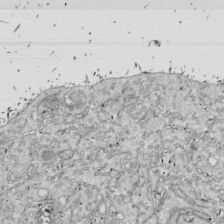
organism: Drosophila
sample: Cell division; meiosis; drosophila spermatocytes